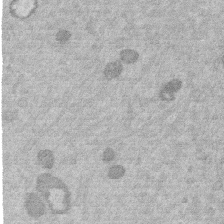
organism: Mouse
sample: Dividing mouse embryo 1 cell stage